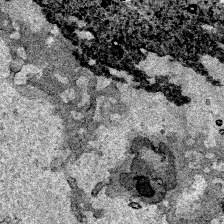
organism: Human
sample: Mitochondria in HCT116 cells